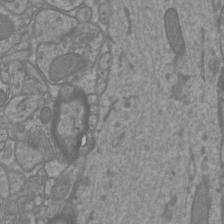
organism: Mouse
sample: Cortical neurons